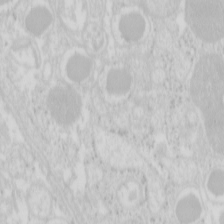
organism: Mouse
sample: Pancreas